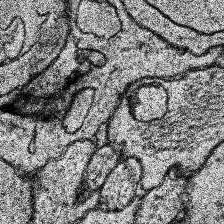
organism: Human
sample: Temporal Lobe